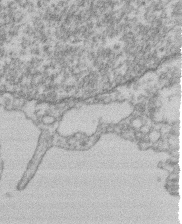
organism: Mouse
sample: T cell stromal cell synapse